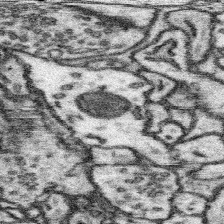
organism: Mouse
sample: Somatosensory cortex neuropil